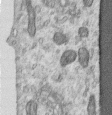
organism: Human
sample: Centriole in RPE cells